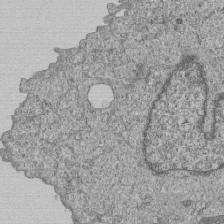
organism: Human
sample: MDA-MB-231 cells